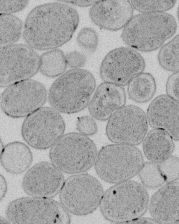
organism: E. coli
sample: Bacterial nucleoid